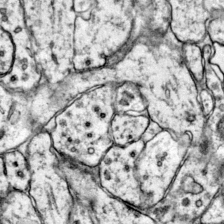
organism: Mouse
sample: Primary visual cortex